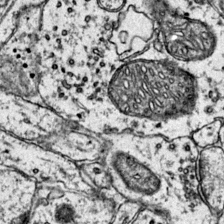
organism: Mouse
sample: Primary visual cortex